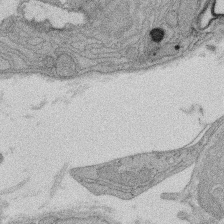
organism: Rat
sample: Salivary granule